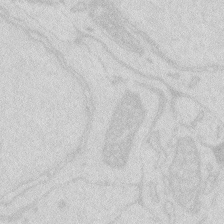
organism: Zebrafish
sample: Macrophage